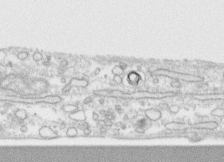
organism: Human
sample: CRL-1474